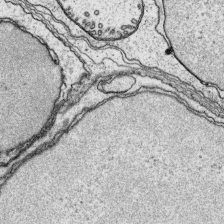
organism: Platynereis dumerilii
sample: Parapodia